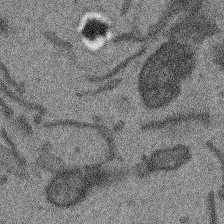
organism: Arabidopsis thaliana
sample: Root tip